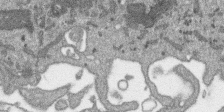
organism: Human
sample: Lung epithelial cells infected with SARS-CoV-2